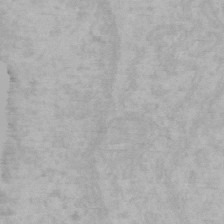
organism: Mouse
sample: Choroid plexus